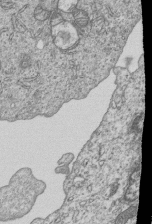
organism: Human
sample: MDA-MB-231 cells